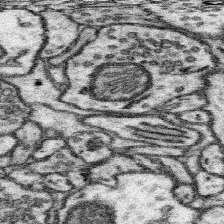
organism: Mouse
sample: Somatosensory cortex neuropil